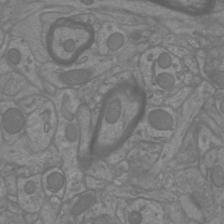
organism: Mouse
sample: Cortical neurons